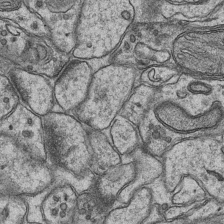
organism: Mouse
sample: CA1 Hippocampus